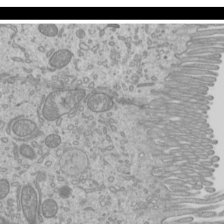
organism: Mouse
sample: Cilia; mouse epididymis